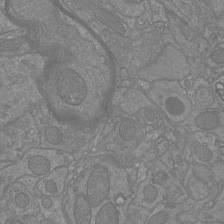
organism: Mouse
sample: Cortical neurons